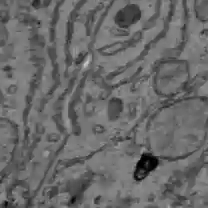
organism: C57BL Mouse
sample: Liver